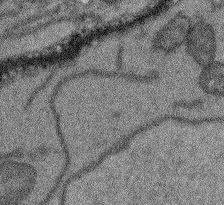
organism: Arabidopsis thaliana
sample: Root tip